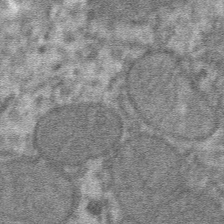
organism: Mouse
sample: Mouse hepatocytes